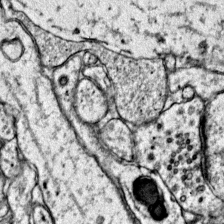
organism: Mouse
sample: Primary visual cortex